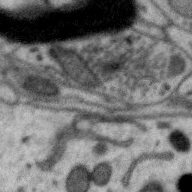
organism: Zebra finch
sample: Brain